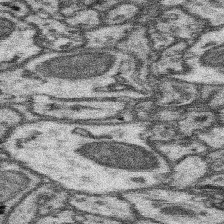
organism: Mouse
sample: Somatosensory cortex neuropil